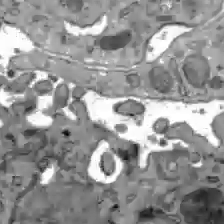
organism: C57BL Mouse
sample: Liver